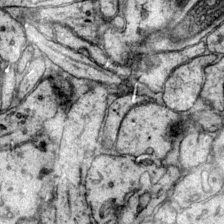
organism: Mouse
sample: Primary visual cortex